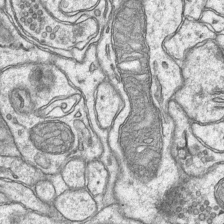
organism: Mouse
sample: CA1 Hippocampus